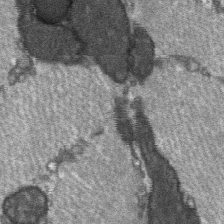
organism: C57BL Mouse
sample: Soleus